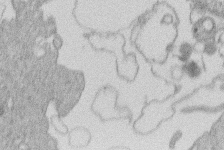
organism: Human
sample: Macrophage cells